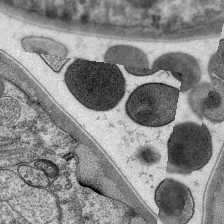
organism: C. elegans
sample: Pharynx